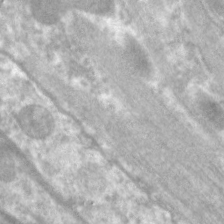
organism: C. elegans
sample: Pharynx